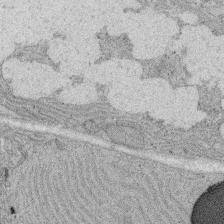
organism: Rat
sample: Salivary granule